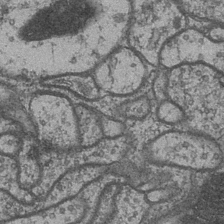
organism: Drosophila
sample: Optic medulla